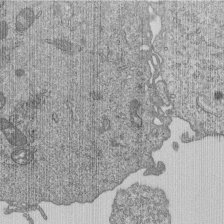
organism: Human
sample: MDA-MB-231 cells